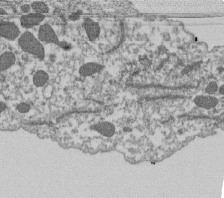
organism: Dictyostelium discoideum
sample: Dictyostelium multivesicular bodies